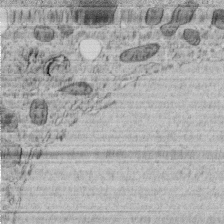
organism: C. elegans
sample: C. elegans embryo early stage